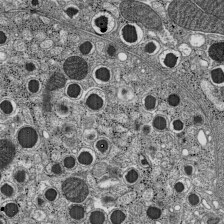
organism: C57BL Mouse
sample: Pancreatic islet